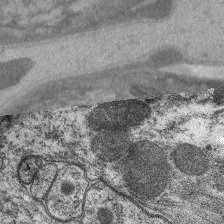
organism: C. elegans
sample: Pharynx